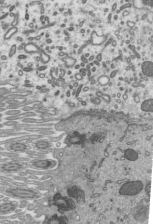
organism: Mouse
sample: Mouse epididymis efferent ductule cilia